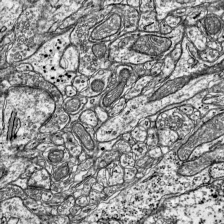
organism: Mouse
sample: Visual Cortex